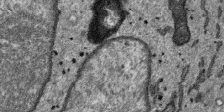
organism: Human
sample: Lung epithelial cells, uninfected (mock) control